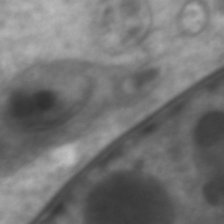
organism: C. elegans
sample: Pharynx